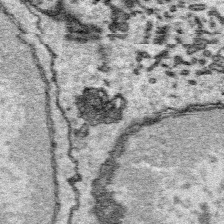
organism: Platynereis dumerilii